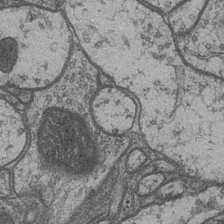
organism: Drosophila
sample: Optic medulla